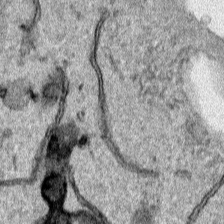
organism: Human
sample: Mitochondria in HCT116 cells